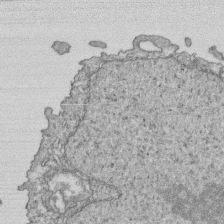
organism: Human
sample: HeLa cell HIV synapse